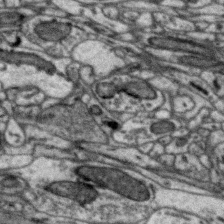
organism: Zebra finch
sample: Brain